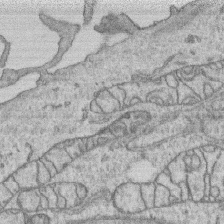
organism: Human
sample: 1205lu cells